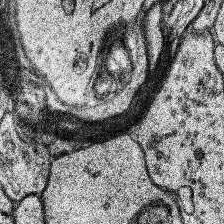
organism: Human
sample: Temporal Lobe